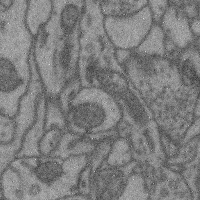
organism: Mouse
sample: Cerebral cortex